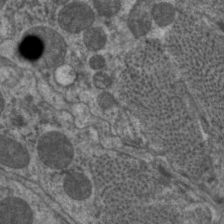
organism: C. elegans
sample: Pharynx